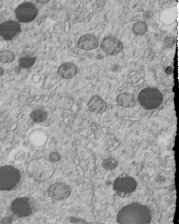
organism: C. elegans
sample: C. elegans embryo early stage